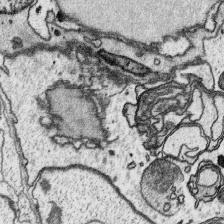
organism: Platynereis dumerilii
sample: Parapodia